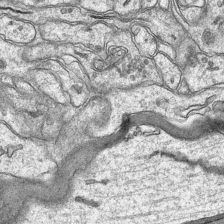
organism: Mouse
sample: CA1 Hippocampus